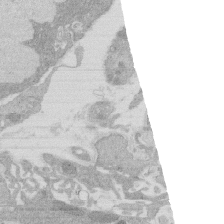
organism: Rat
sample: Salivary granule